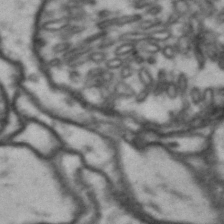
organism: Drosophila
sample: Brain